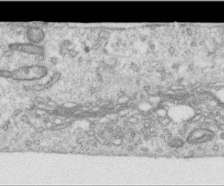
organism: Human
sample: Centriole in RPE cells